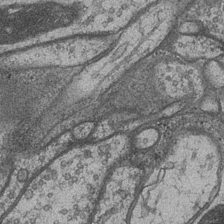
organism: Drosophila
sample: Optic medulla